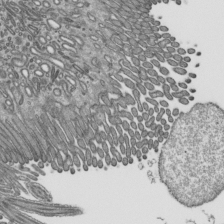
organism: Mouse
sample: Mouse epididymis efferent ductule cilia